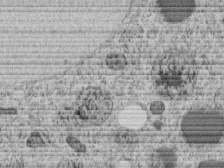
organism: C. elegans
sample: C. elegans embryo early stage